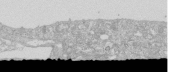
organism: Human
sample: Caco-2 cells